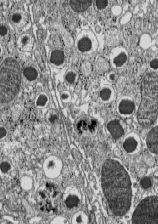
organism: C57BL Mouse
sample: Pancreatic islet